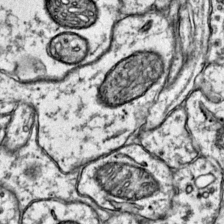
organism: Mouse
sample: Primary visual cortex